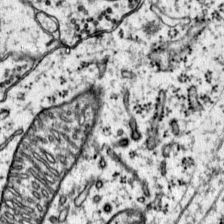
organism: Mouse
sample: Primary visual cortex